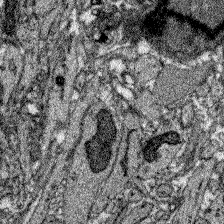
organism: Zebrafish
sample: Larval olfactory bulb